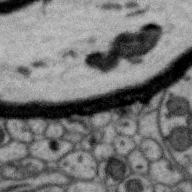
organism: Zebra finch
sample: Brain